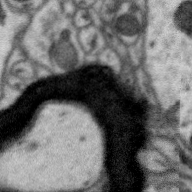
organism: Zebra finch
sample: Brain